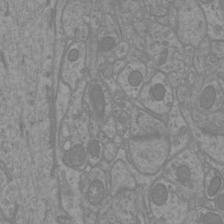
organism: Mouse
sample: Cortical neurons